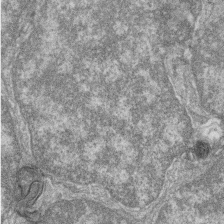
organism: Zebrafish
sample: Cilia; retinal pigment epithelium